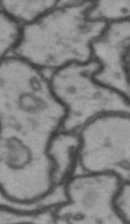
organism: Drosophila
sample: Brain